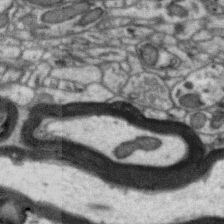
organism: Zebra finch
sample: Brain